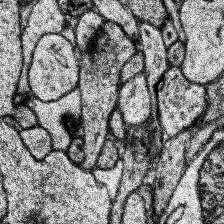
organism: Human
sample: Temporal Lobe